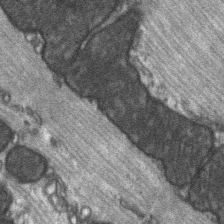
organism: C57BL Mouse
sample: Soleus